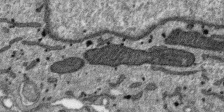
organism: Human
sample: Lung epithelial cells, uninfected (mock) control